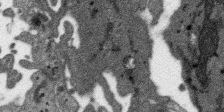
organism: Human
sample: Lung epithelial cells infected with SARS-CoV-2